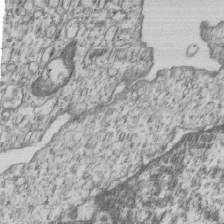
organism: Human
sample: MDA-MB-231 cells